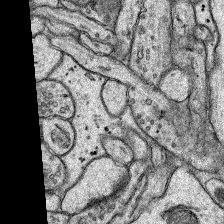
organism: Rat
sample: Hippocampus